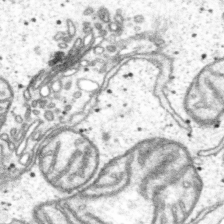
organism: Human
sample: HeLa cells